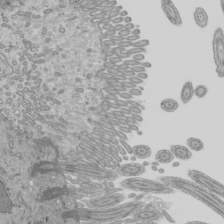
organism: Mouse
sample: Cilia; mouse epididymis